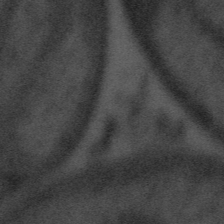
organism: Tuwongella immobilis